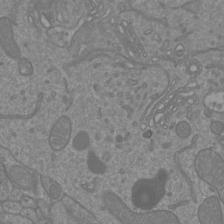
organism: Mouse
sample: Cortical neurons